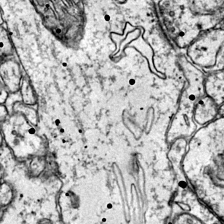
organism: Mouse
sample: Primary visual cortex